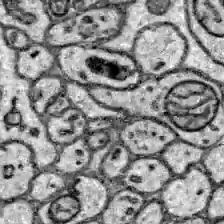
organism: Zebrafish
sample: Brain